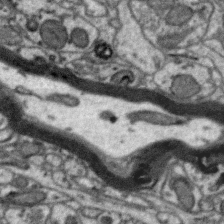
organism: Zebra finch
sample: Brain